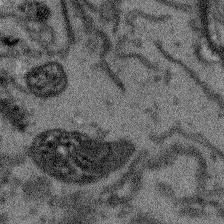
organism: Arabidopsis thaliana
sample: Root tip